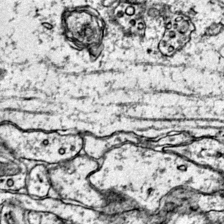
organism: Mouse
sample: Primary visual cortex